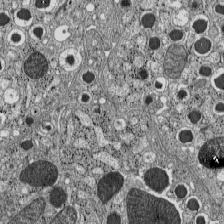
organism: C57BL Mouse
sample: Pancreatic islet